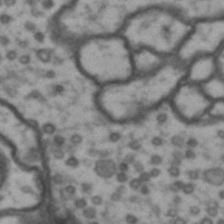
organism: Drosophila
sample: Brain